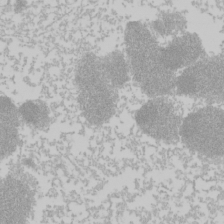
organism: Mouse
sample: Cancer cell death in ED-1 cells